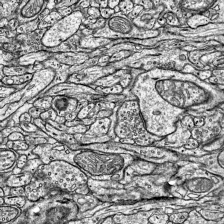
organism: Mouse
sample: Visual Cortex